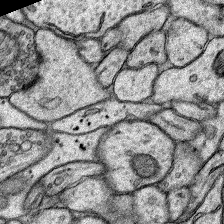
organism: Rat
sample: Hippocampus